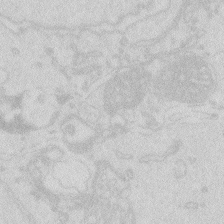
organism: Zebrafish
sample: Macrophage